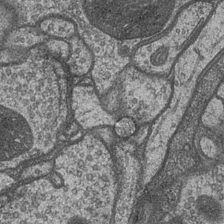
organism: Drosophila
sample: Optic medulla